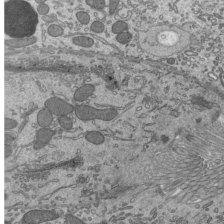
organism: Mouse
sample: Mouse epididymis efferent ductule cilia